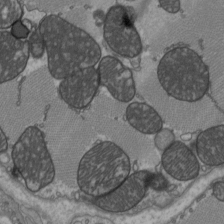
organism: C57BL Mouse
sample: Heart